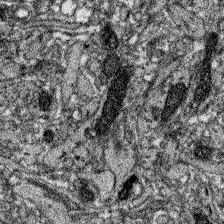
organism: Zebrafish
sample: Larval olfactory bulb